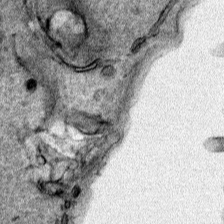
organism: Human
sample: Mitochondria in HCT116 cells